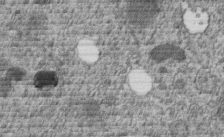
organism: C. elegans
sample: C. elegans embryo early stage